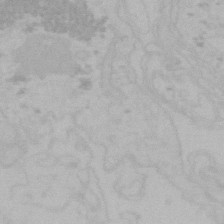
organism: Mouse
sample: Choroid plexus